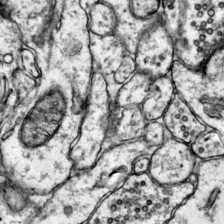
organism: Mouse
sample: Primary visual cortex